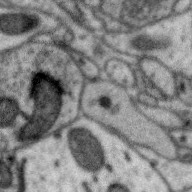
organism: Zebra finch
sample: Brain